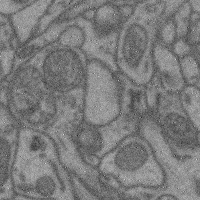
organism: Mouse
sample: Cerebral cortex